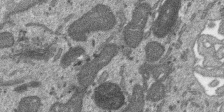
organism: Human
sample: Lung epithelial cells infected with SARS-CoV-2